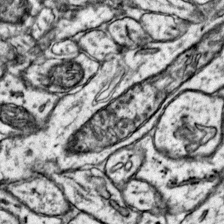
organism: Mouse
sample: Primary visual cortex